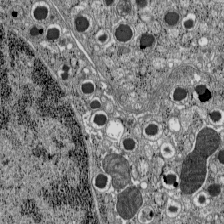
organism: C57BL Mouse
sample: Pancreatic islet